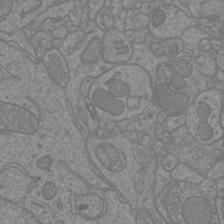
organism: Mouse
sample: Cortical neurons